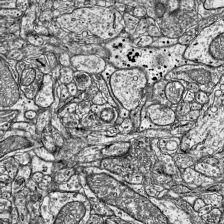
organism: Mouse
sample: Visual Cortex